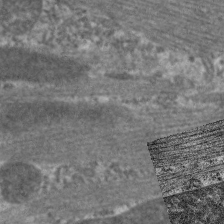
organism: C. elegans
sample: Pharynx